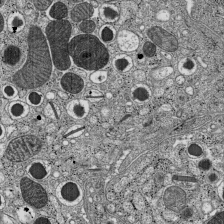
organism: C57BL Mouse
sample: Pancreatic islet